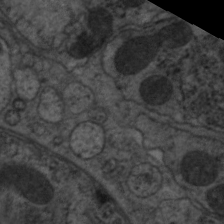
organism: C. elegans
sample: Pharynx